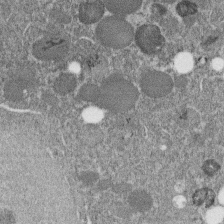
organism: C. elegans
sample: C. elegans embryo early stage